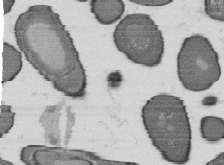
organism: B. subtilis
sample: Bacterial spore